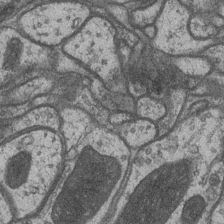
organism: Drosophila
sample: Optic medulla